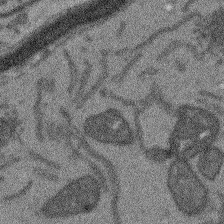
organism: Arabidopsis thaliana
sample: Root tip